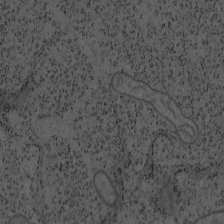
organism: Mouse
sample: OT-I killer T cells with ID8 ovarian cancer cells